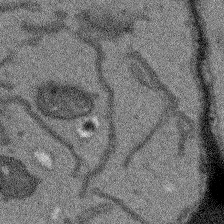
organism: Arabidopsis thaliana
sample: Root tip